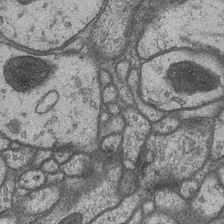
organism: Drosophila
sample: Optic medulla